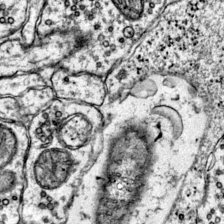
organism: Mouse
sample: Primary visual cortex